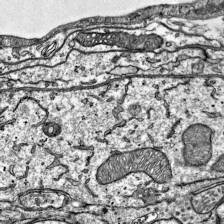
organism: Mouse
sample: Visual Cortex